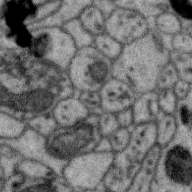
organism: Zebra finch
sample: Brain